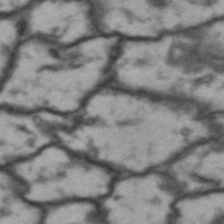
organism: Drosophila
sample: Brain